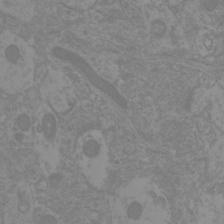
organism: Mouse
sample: Cortical neurons